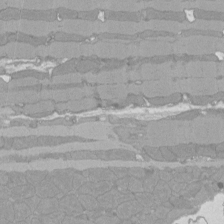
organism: Rat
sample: Left ventricle